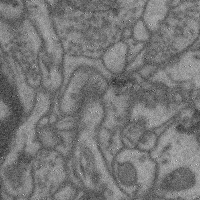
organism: Mouse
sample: Cerebral cortex